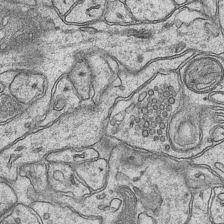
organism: Mouse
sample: CA1 Hippocampus